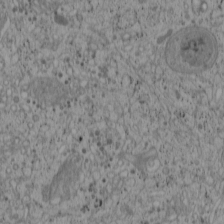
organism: African green monkey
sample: COS-7 cells